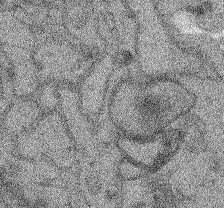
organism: Human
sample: HeLa cells